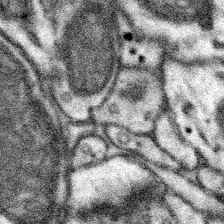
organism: Mouse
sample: Somatosensory cortex neuropil